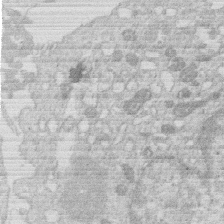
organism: Human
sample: Macrophage cells